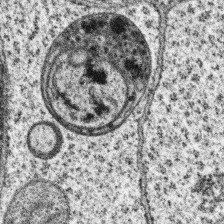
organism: Human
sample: HeLa cells